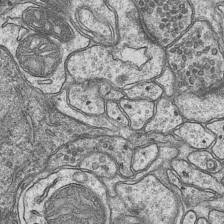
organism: Mouse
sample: CA1 Hippocampus